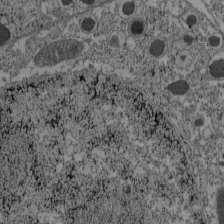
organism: C57BL Mouse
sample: Pancreatic islet